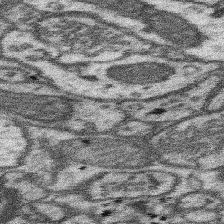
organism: Mouse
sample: Somatosensory cortex neuropil